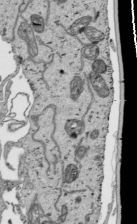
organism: Human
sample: Mitochondria in HCT116 cells